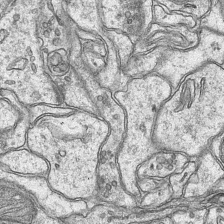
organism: Mouse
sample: CA1 Hippocampus